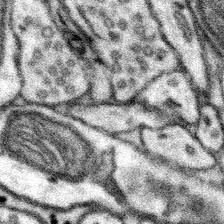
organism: Mouse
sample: Somatosensory cortex neuropil